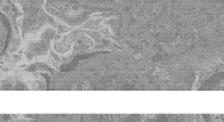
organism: Mouse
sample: Glomerulus